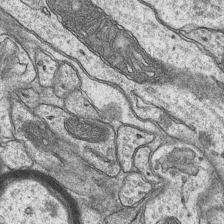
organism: Mouse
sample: CA1 Hippocampus